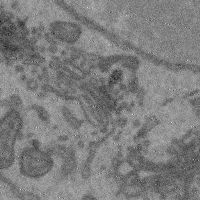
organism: Mouse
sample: Cerebral cortex